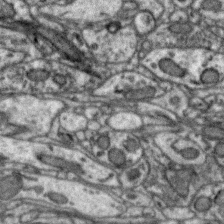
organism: Zebra finch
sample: Brain